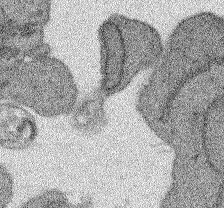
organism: Human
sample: HeLa cells